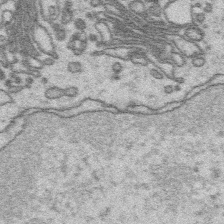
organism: Platynereis dumerilii